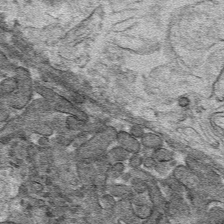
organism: Mouse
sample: Mouse hepatocytes